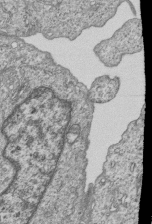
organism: Human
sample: MDA-MB-231 cells